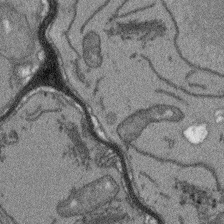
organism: Arabidopsis thaliana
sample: Root tip